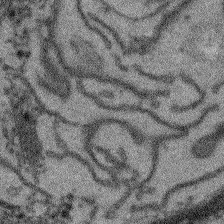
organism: Arabidopsis thaliana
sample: Root tip